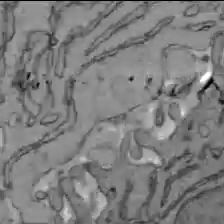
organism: C57BL Mouse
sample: Liver